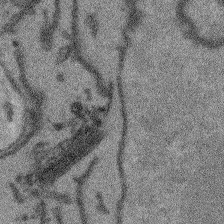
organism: Arabidopsis thaliana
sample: Root tip